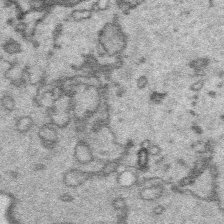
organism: Platynereis dumerilii